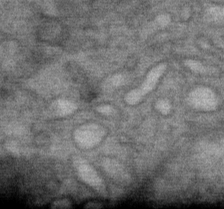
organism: Mouse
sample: Mouse Salivary gland